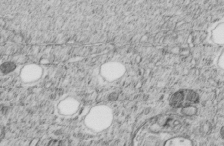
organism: C. elegans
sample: C. elegans embryo early stage